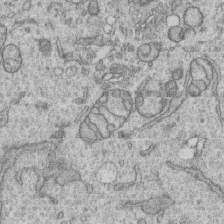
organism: Human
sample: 1205lu cells